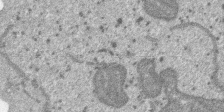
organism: Human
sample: Lung epithelial cells infected with SARS-CoV-2